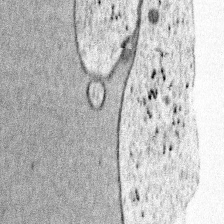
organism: Human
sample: HeLa cells